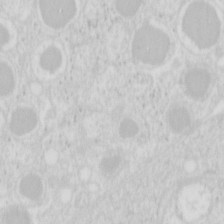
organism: Mouse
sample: Pancreas